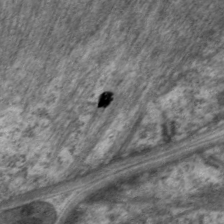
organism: C. elegans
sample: Pharynx